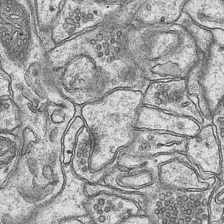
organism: Mouse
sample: CA1 Hippocampus